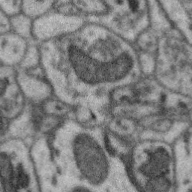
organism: Zebra finch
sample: Brain